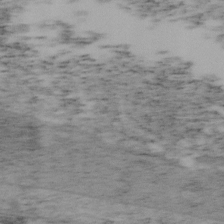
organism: Mouse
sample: OT-I killer T cells with ID8 ovarian cancer cells